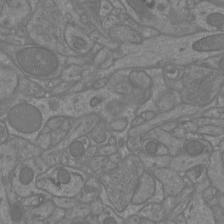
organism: Mouse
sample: Cortical neurons